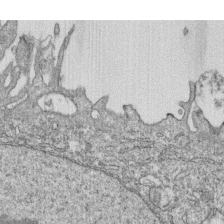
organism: Human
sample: HeLa cell HIV synapse